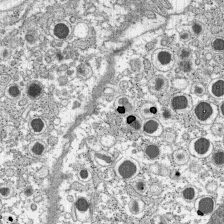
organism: C57BL Mouse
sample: Pancreatic islet